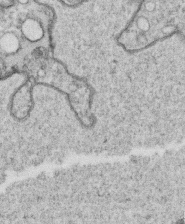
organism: C. elegans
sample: C. elegans oocyte; sperm cells